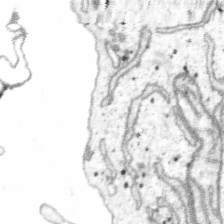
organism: Human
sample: HeLa cells